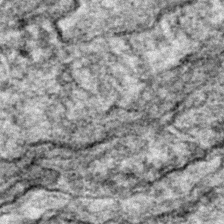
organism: Zebrafish